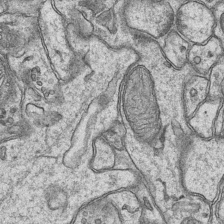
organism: Mouse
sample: CA1 Hippocampus